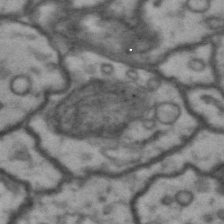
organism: Drosophila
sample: Brain